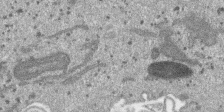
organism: Human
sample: Lung epithelial cells infected with SARS-CoV-2